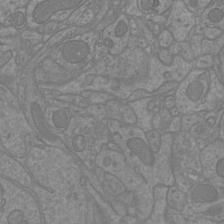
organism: Mouse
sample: Cortical neurons